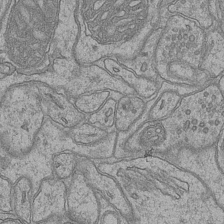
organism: Mouse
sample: CA1 Hippocampus